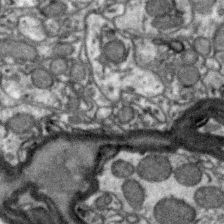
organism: Zebra finch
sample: Brain